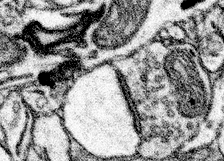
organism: Mouse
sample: Somatosensory cortex neuropil